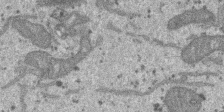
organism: Human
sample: Lung epithelial cells infected with SARS-CoV-2